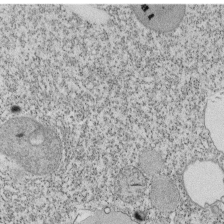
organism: Tetrahymena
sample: Cilia in tetrahymena